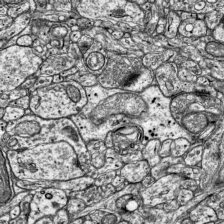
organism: Mouse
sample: Visual Cortex